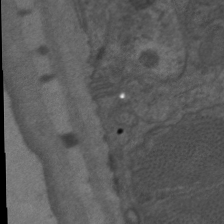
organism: C. elegans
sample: Pharynx